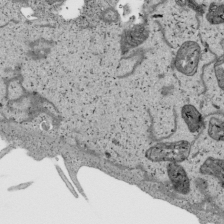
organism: Human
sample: Mitochondria in HCT116 cells